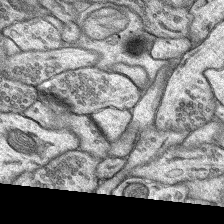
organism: Rat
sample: Hippocampus